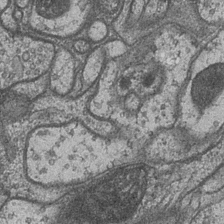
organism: Drosophila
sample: Optic medulla